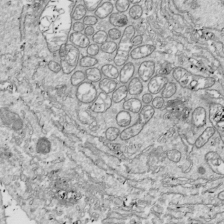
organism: Drosophila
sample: Cell division; meiosis; drosophila spermatocytes